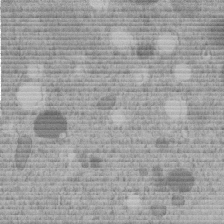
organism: C. elegans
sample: C. elegans embryo early stage